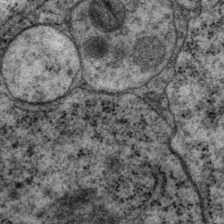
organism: P. pacificus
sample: Pharynx